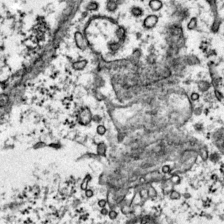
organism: Mouse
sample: Primary visual cortex